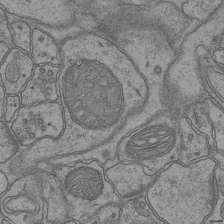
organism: Mouse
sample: CA1 Hippocampus